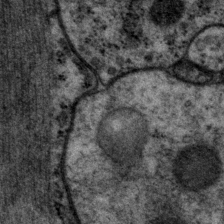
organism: P. pacificus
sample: Pharynx